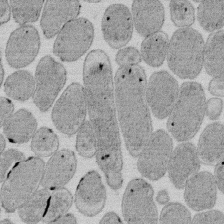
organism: E. coli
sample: Bacterial nucleoid